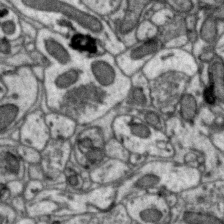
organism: Zebra finch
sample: Brain